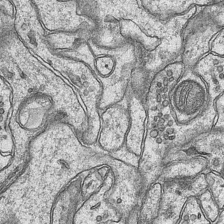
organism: Mouse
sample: CA1 Hippocampus